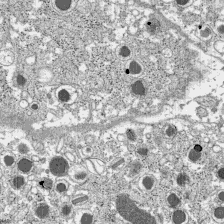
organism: C57BL Mouse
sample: Pancreatic islet